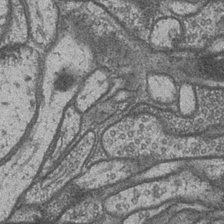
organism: Drosophila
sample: Optic medulla